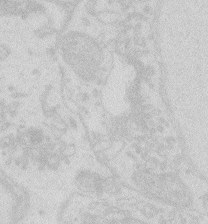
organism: Zebrafish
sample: Macrophage